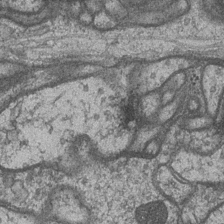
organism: Drosophila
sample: Optic medulla